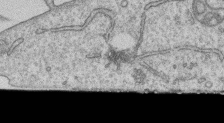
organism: Human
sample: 1205lu cells